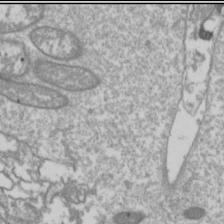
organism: Drosophila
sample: Cell division; meiosis; drosophila spermatocytes